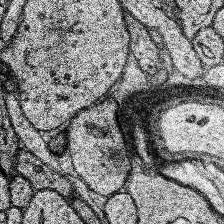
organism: Human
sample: Temporal Lobe